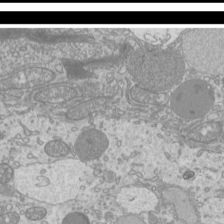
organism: Mouse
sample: Cilia; mouse epididymis